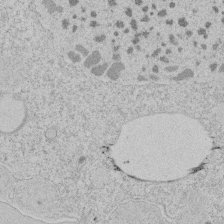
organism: Tetrahymena